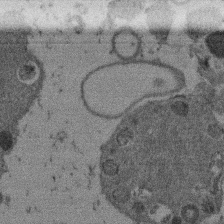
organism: Mouse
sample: Dividing mouse embryo 1 cell stage